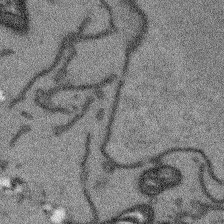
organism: Arabidopsis thaliana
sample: Root tip